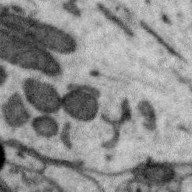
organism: Zebra finch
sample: Brain